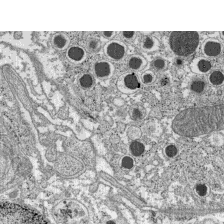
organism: C57BL Mouse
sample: Pancreatic islet